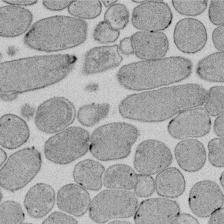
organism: E. coli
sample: Bacterial nucleoid